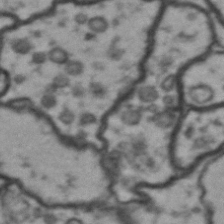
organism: Drosophila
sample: Brain